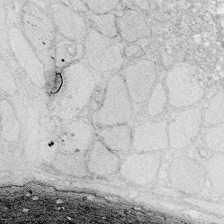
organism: Zebrafish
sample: Whole-Brain